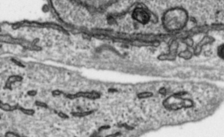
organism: Toxoplasma gondii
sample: Parasites in a vacuole inside a host cell